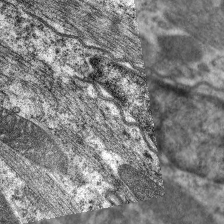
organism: C. elegans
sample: Pharynx